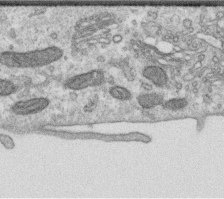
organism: Human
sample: Centriole in RPE cells